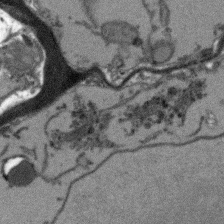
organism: Arabidopsis thaliana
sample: Root tip